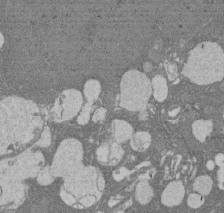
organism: Rat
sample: Salivary granule